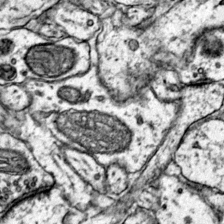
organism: Mouse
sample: Primary visual cortex